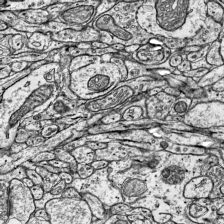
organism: Mouse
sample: Visual Cortex